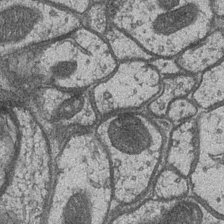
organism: Drosophila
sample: Optic medulla